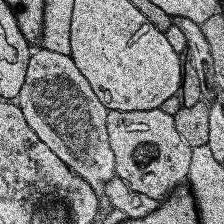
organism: Human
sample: Temporal Lobe